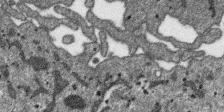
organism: Human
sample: Lung epithelial cells infected with SARS-CoV-2